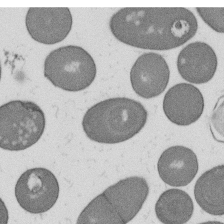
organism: B. subtilis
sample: Bacterial spore